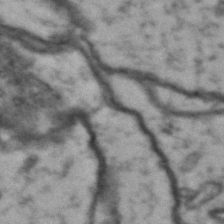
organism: Drosophila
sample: Brain